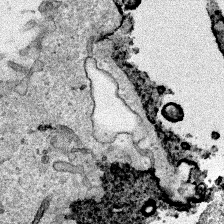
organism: Human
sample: Mitochondria in HCT116 cells